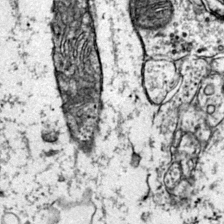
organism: Mouse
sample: Primary visual cortex